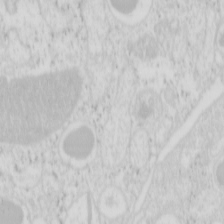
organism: Mouse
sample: Pancreas